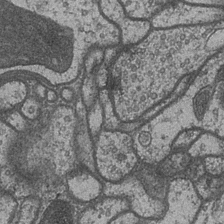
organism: Drosophila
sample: Optic medulla